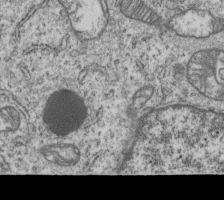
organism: Human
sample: MDA-MB-231 cells